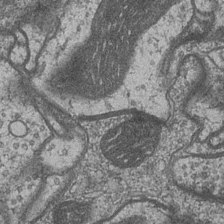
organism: Drosophila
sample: Optic medulla